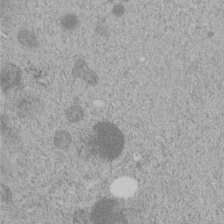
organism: C. elegans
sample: C. elegans embryo early stage